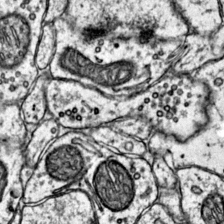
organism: Mouse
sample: Primary visual cortex